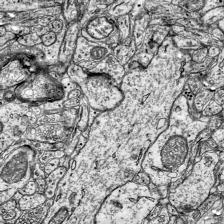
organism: Mouse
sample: Visual Cortex